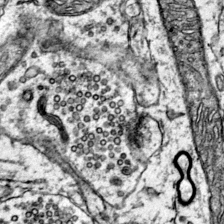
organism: Mouse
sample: Primary visual cortex